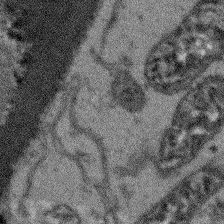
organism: Arabidopsis thaliana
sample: Root tip